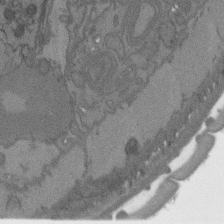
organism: C. elegans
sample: AFD neurons C. elegans